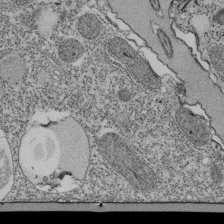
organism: Tetrahymena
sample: Cilia in tetrahymena